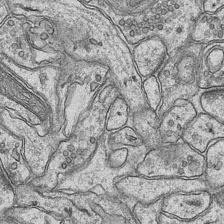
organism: Mouse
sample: CA1 Hippocampus